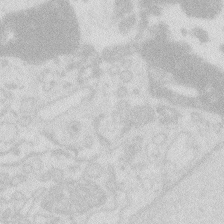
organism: Zebrafish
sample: Macrophage